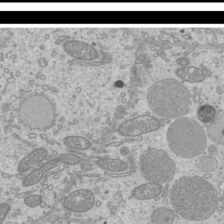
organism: Mouse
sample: Cilia; mouse epididymis